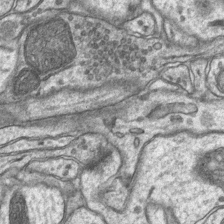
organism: Mouse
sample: CA1 Hippocampus